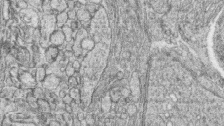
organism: Zebrafish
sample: synaptic ribbons in rod cells and cone cells